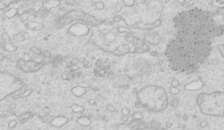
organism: Mouse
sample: Multiciliated cells